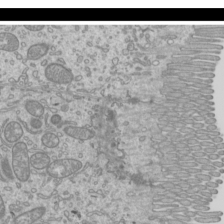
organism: Mouse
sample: Cilia; mouse epididymis